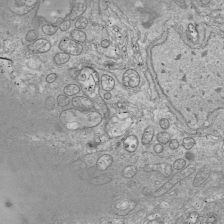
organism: Drosophila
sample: Cell division; meiosis; drosophila spermatocytes